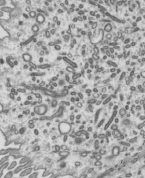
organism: Mouse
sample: Mouse epididymis efferent ductule cilia